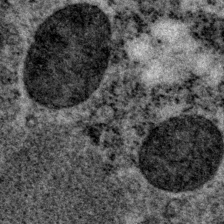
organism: P. pacificus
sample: Pharynx